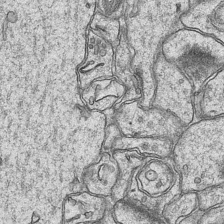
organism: Mouse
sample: CA1 Hippocampus